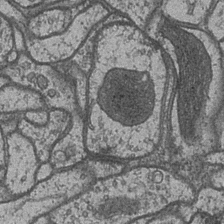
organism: Drosophila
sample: Optic medulla